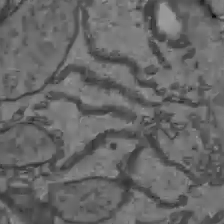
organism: C57BL Mouse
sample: Liver